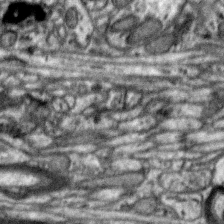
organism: Zebra finch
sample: Brain